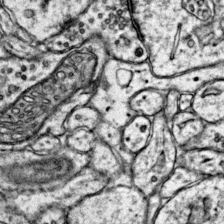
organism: Mouse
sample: Primary visual cortex